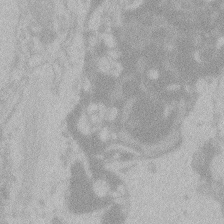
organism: Zebrafish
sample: Macrophage infected with Toxoplasma gondii